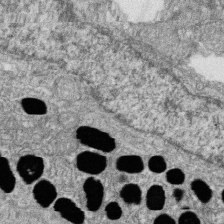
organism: Zebrafish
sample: Cilia; retinal pigment epithelium